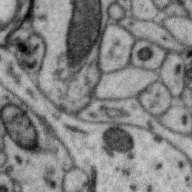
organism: Zebra finch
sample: Brain